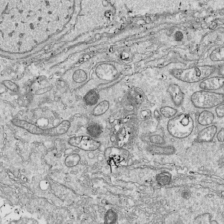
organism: Drosophila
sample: Cell division; meiosis; drosophila spermatocytes